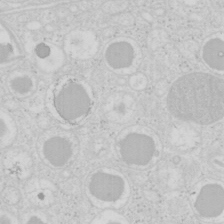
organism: Mouse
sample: Pancreas